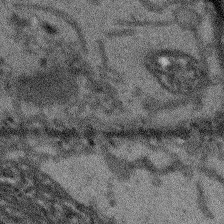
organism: Arabidopsis thaliana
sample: Root tip